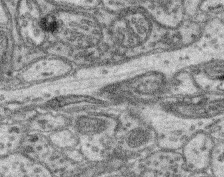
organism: Mouse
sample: Retina